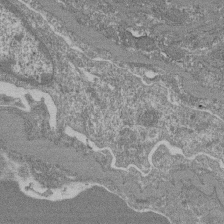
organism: Mouse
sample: Glomerulus